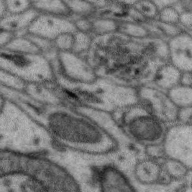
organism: Zebra finch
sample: Brain